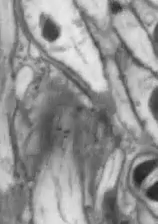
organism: Drosophila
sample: Optic lobe